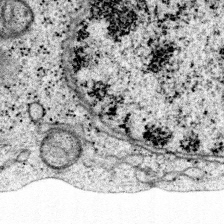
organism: Human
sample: HeLa cells